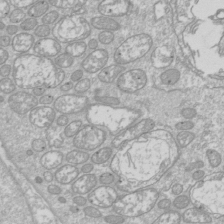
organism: Drosophila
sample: Cell division; meiosis; drosophila spermatocytes